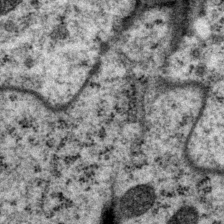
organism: P. pacificus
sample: Pharynx